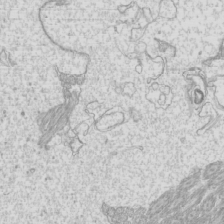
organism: Mouse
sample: Cilia; mouse epididymis